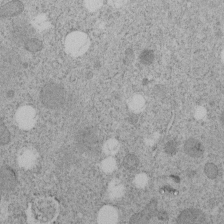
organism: C. elegans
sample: C. elegans embryo early stage